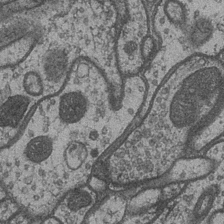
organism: Drosophila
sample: Optic medulla